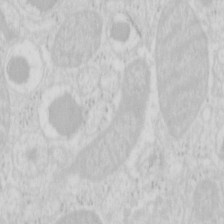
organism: Mouse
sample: Pancreas